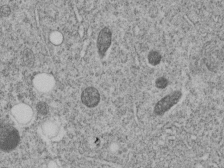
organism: C. elegans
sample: C. elegans embryo early stage